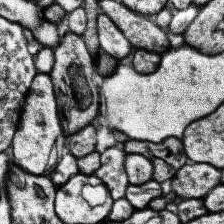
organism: Human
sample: Temporal Lobe